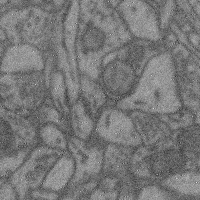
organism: Mouse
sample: Cerebral cortex